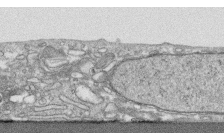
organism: Human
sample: CRL-1474